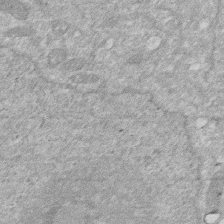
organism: Human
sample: HIV infected U937 cells